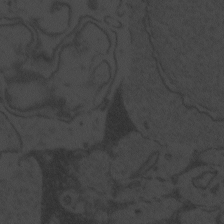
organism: Zebrafish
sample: Macrophage infected with Toxoplasma gondii